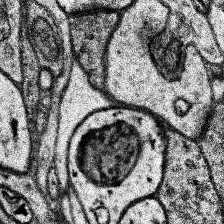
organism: Human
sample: Temporal Lobe